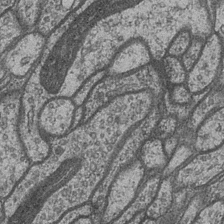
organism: Drosophila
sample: Optic medulla